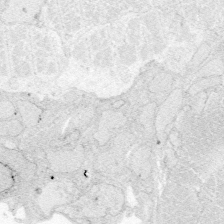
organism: Zebrafish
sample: Whole-Brain